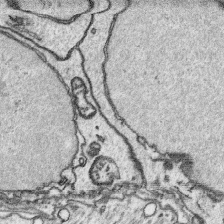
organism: Platynereis dumerilii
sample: Parapodia